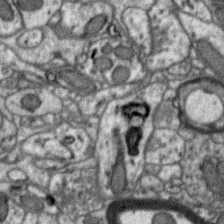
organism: Zebra finch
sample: Brain